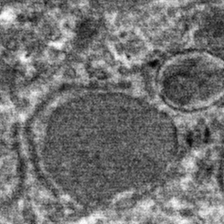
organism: Mouse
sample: Mouse hepatocytes